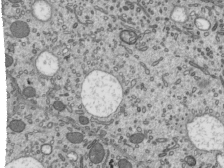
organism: Mouse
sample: Mouse epididymis efferent ductule cilia